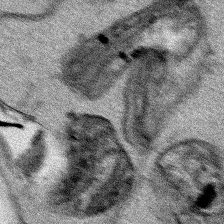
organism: Human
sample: Mitochondria in HCT116 cells